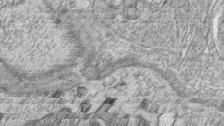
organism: Zebrafish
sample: synaptic ribbons in rod cells and cone cells